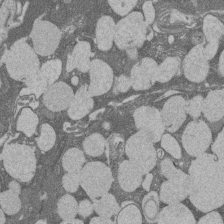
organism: Rat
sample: Salivary granule